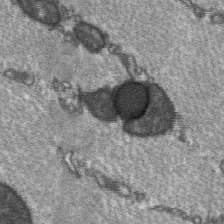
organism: C57BL Mouse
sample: Soleus